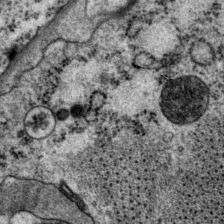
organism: P. pacificus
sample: Pharynx